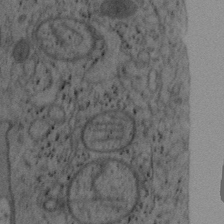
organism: Human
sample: HeLa cells